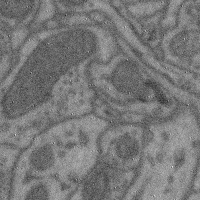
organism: Mouse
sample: Cerebral cortex